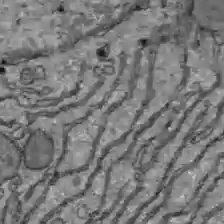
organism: C57BL Mouse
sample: Liver